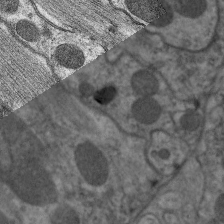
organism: C. elegans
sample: Pharynx